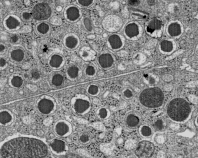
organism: C57BL Mouse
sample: Pancreatic islet